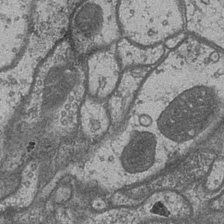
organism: Drosophila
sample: Optic medulla